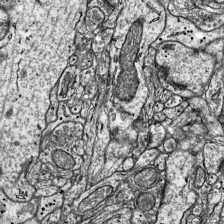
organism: Mouse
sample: Visual Cortex